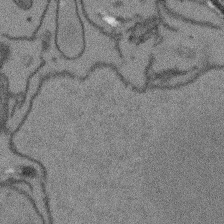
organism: Arabidopsis thaliana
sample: Root tip